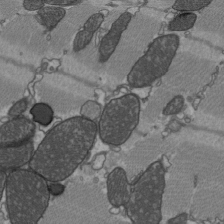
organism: C57BL Mouse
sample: Heart